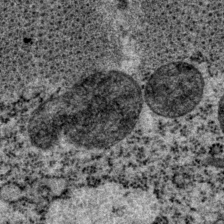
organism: P. pacificus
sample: Pharynx